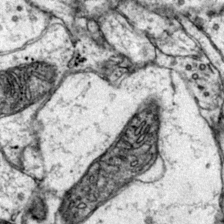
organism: Mouse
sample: Primary visual cortex